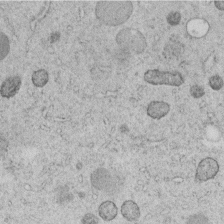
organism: C. elegans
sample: C. elegans embryo early stage